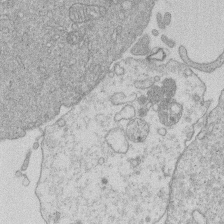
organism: Human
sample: Macrophage cells